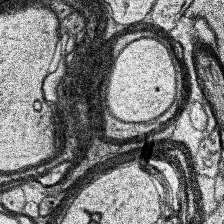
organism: Human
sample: Temporal Lobe